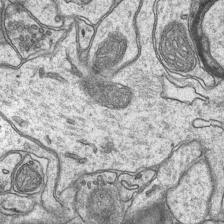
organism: Mouse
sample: CA1 Hippocampus